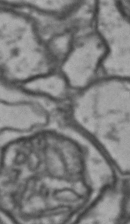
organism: Drosophila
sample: Brain